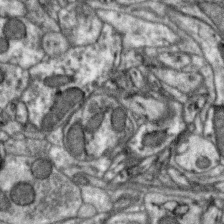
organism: Zebra finch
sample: Brain